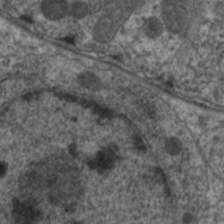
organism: C. elegans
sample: Pharynx